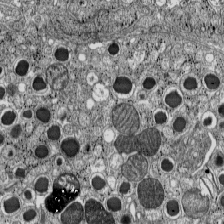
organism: C57BL Mouse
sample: Pancreatic islet